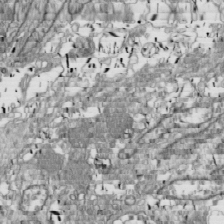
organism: Drosophila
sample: Cell division; meiosis; drosophila spermatocytes